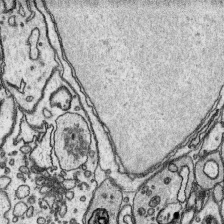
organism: Platynereis dumerilii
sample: Parapodia